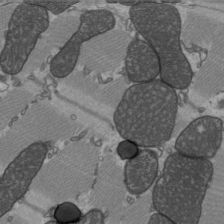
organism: C57BL Mouse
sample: Heart